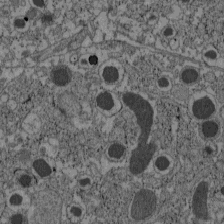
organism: C57BL Mouse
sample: Pancreatic islet